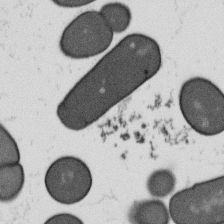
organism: B. subtilis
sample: Bacterial spore